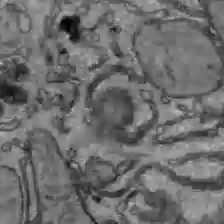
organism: C57BL Mouse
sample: Liver